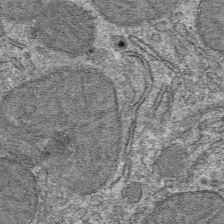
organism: Mouse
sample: Mouse hepatocytes